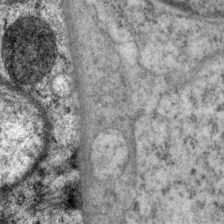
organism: P. pacificus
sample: Pharynx